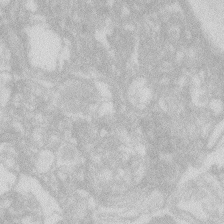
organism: Zebrafish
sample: Macrophage